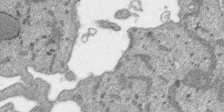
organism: Human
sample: Lung epithelial cells infected with SARS-CoV-2